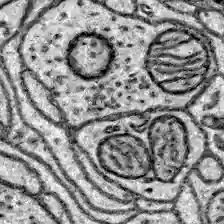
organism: Zebrafish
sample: Brain